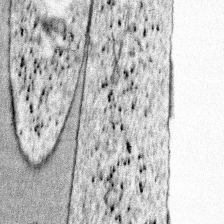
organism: Human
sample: HeLa cells